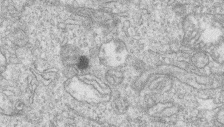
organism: Human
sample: HeLa cell HIV synapse